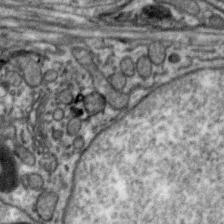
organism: Zebra finch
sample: Brain